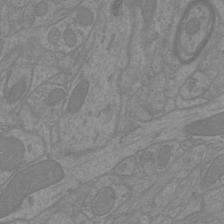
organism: Mouse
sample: Cortical neurons